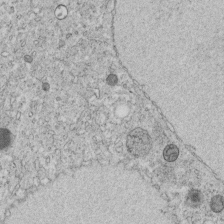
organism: C. elegans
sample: C. elegans embryo early stage